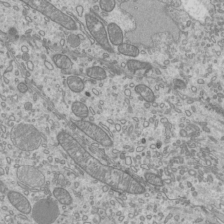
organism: Mouse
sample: Cilia; mouse epididymis